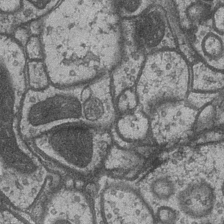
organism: Drosophila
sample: Optic medulla